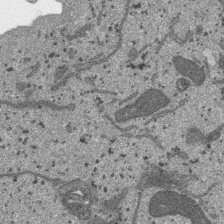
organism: Human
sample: Lung epithelial cells infected with SARS-CoV-2